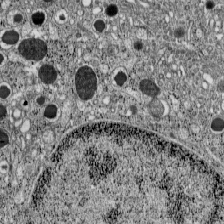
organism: C57BL Mouse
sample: Pancreatic islet